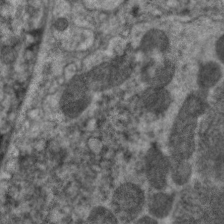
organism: C. elegans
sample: Pharynx